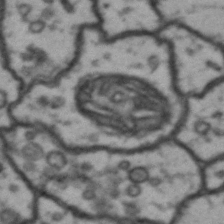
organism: Drosophila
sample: Brain